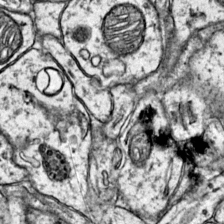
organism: Mouse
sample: Primary visual cortex